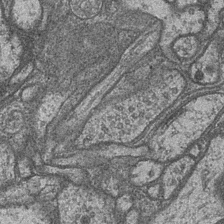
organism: Drosophila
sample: Optic medulla